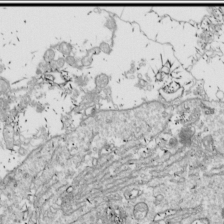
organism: Drosophila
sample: Cell division; meiosis; drosophila spermatocytes